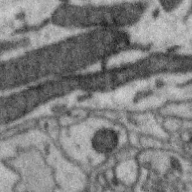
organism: Zebra finch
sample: Brain